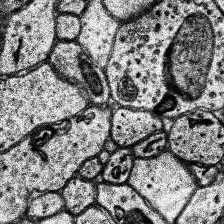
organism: Human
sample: Temporal Lobe